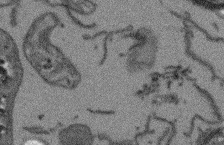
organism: Arabidopsis thaliana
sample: Root tip